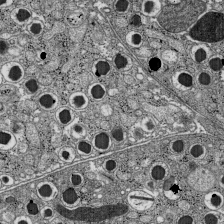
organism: C57BL Mouse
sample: Pancreatic islet